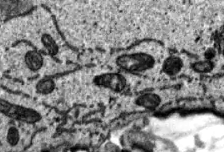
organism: Human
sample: HeLa cells